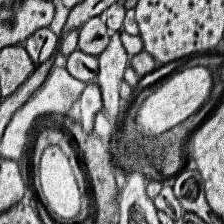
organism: Human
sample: Temporal Lobe